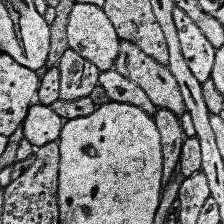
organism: Human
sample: Temporal Lobe